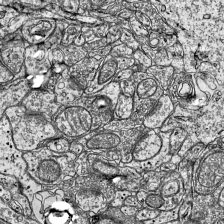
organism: Mouse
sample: Visual Cortex